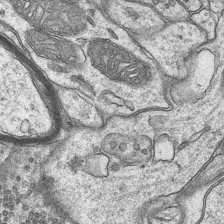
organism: Mouse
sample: CA1 Hippocampus